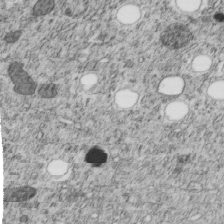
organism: C. elegans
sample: C. elegans embryo early stage